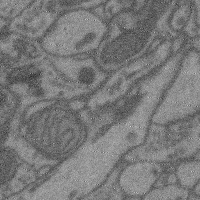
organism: Mouse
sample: Cerebral cortex